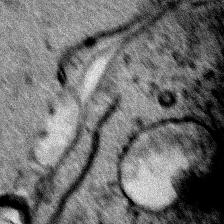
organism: Human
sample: Mitochondria in HCT116 cells